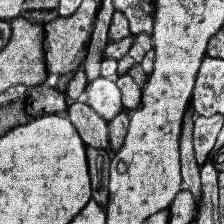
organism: Human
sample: Temporal Lobe